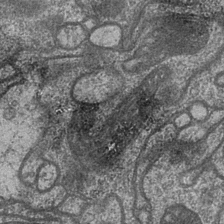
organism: Drosophila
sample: Optic medulla